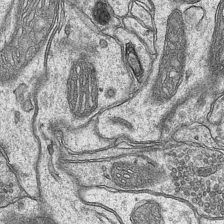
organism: Mouse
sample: CA1 Hippocampus